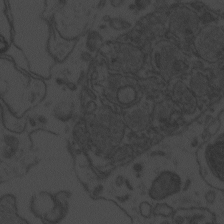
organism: Zebrafish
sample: Macrophage infected with Toxoplasma gondii